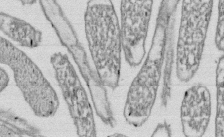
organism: E. coli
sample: Bacterial nucleoid